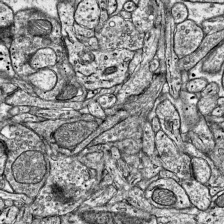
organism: Mouse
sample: Visual Cortex